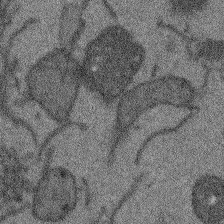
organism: Arabidopsis thaliana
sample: Root tip